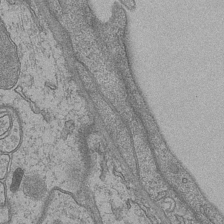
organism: Mouse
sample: CA1 Hippocampus